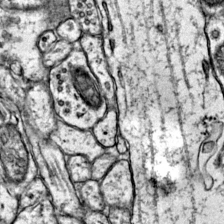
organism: Mouse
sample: Primary visual cortex